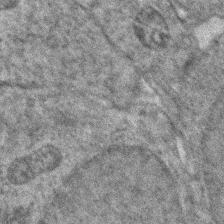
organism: Zebrafish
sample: Zebrafish embryo